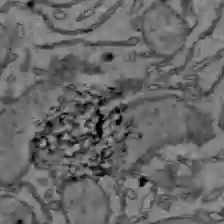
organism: C57BL Mouse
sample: Liver